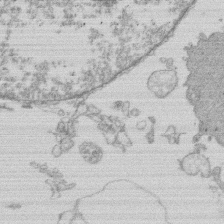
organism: Human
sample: Macrophage cells